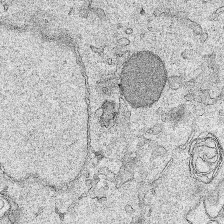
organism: Human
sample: Mitochondria in HCT116 cells